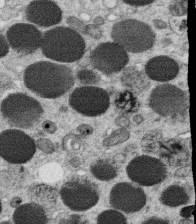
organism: C. elegans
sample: C. elegans oocyte; sperm cells